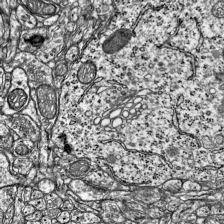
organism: Mouse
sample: Visual Cortex